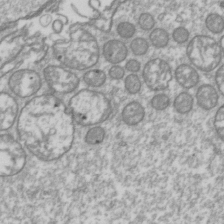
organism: Drosophila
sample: Cell division; meiosis; drosophila spermatocytes